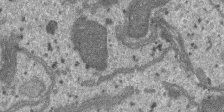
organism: Human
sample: Lung epithelial cells infected with SARS-CoV-2